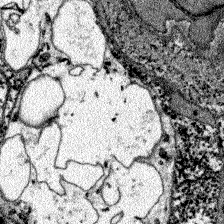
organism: Zebrafish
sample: Larval olfactory bulb